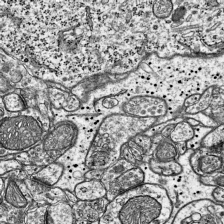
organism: Mouse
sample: Visual Cortex